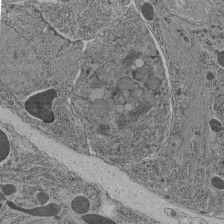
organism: C. elegans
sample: C. elegans pharynx